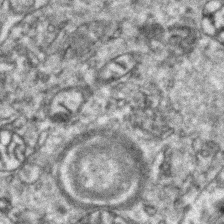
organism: Zebrafish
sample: Zebrafish embryo